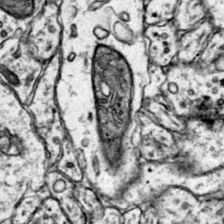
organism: Mouse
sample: Primary visual cortex